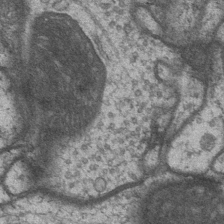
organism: Drosophila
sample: Optic medulla